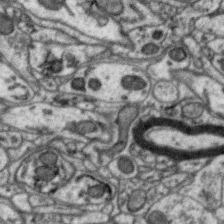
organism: Zebra finch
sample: Brain